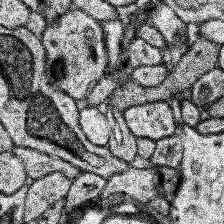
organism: Human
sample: Temporal Lobe